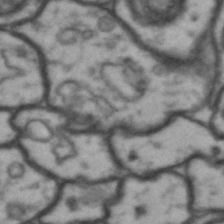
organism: Drosophila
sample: Brain